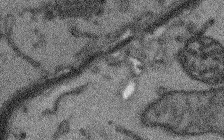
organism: Arabidopsis thaliana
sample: Root tip